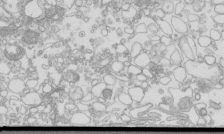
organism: Mouse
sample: Macrophages